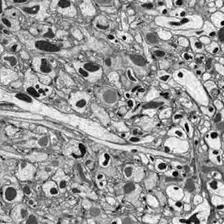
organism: Drosophila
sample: Optic lobe